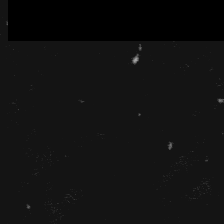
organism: Platynereis dumerilii